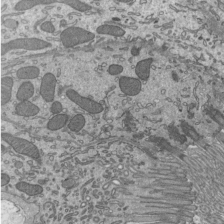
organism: Mouse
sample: Mouse epididymis efferent ductule cilia